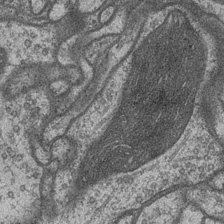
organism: Drosophila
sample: Optic medulla